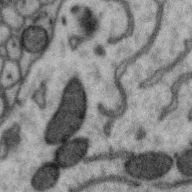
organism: Zebra finch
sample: Brain